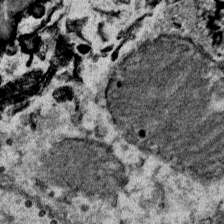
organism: Mouse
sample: Mouse Salivary gland